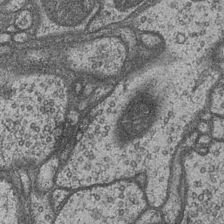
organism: Drosophila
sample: Optic medulla